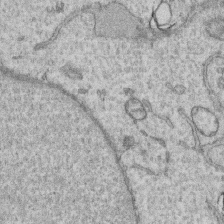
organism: Human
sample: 1205lu cells